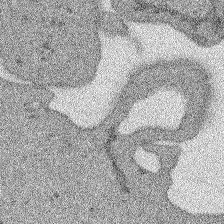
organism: Human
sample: HeLa cells